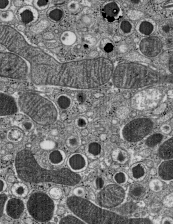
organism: C57BL Mouse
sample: Pancreatic islet